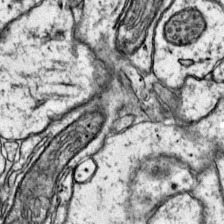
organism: Mouse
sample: Primary visual cortex